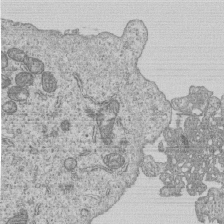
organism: Human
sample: MDA-MB-231 cells